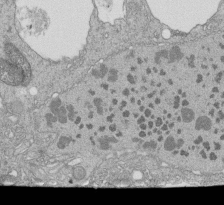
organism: Tetrahymena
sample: Cilia in tetrahymena